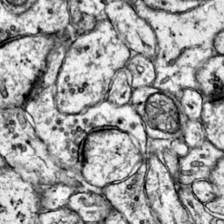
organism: Mouse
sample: Primary visual cortex